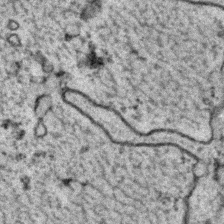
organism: C. elegans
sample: C. elegans embryo